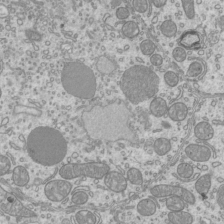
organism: Mouse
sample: Cilia; mouse epididymis